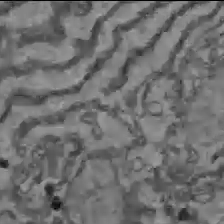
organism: C57BL Mouse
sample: Liver